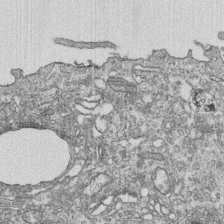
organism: Human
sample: HeLa cell HIV synapse